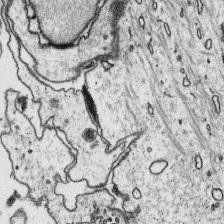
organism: Platynereis dumerilii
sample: Parapodia